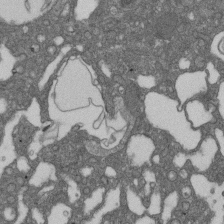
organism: Drosophila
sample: Nephrocyte